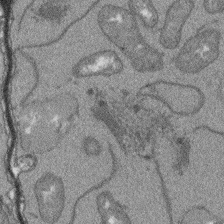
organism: Arabidopsis thaliana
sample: Root tip